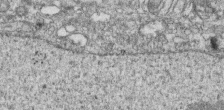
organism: Human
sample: HeLa cell HIV synapse